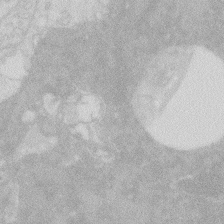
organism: Zebrafish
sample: Macrophage